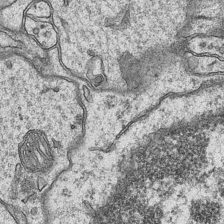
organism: Mouse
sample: CA1 Hippocampus